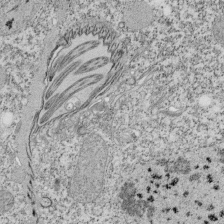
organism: Tetrahymena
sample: Cilia in tetrahymena